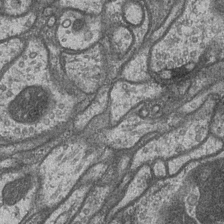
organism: Drosophila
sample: Optic medulla